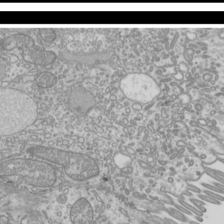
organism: Mouse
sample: Cilia; mouse epididymis